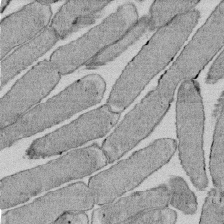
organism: E. coli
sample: Bacterial nucleoid